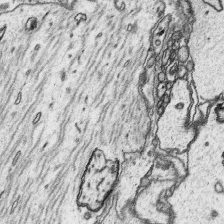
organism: Platynereis dumerilii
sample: Parapodia